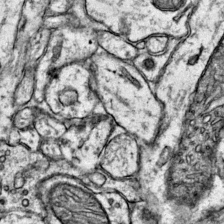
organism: Mouse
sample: Primary visual cortex